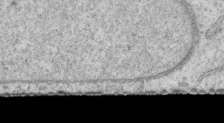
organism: Human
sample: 1205lu cells